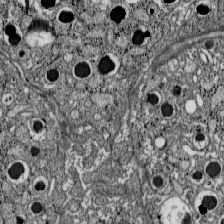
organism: C57BL Mouse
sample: Pancreatic islet